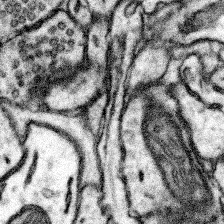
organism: Mouse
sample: Somatosensory cortex neuropil